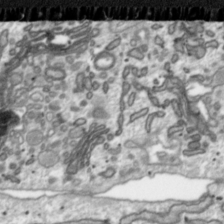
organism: Toxoplasma gondii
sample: Parasites in a vacuole inside a host cell